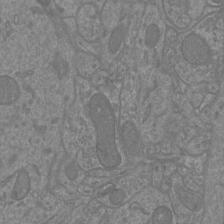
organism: Mouse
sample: Cortical neurons